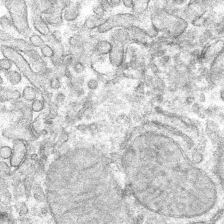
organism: Mouse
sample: Mouse hepatocytes